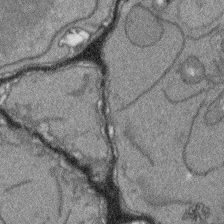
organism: Arabidopsis thaliana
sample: Root tip